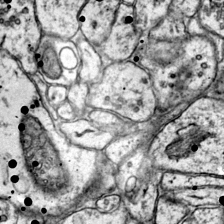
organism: Mouse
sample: Primary visual cortex